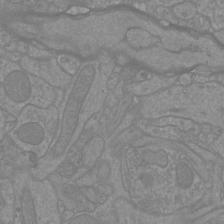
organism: Mouse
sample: Cortical neurons